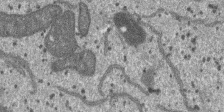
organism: Human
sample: Lung epithelial cells infected with SARS-CoV-2